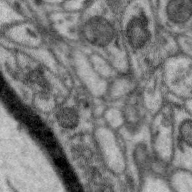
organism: Zebra finch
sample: Brain